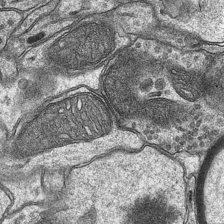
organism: Mouse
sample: CA1 Hippocampus